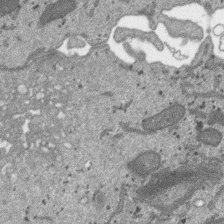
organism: Human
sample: Lung epithelial cells infected with SARS-CoV-2